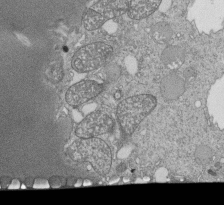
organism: Tetrahymena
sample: Cilia in tetrahymena